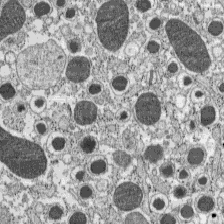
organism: C57BL Mouse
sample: Pancreatic islet